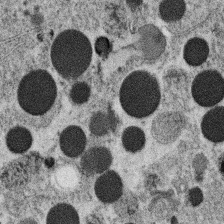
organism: C. elegans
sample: C. elegans oocyte; sperm cells